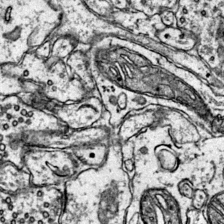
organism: Mouse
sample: Primary visual cortex